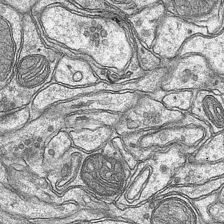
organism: Mouse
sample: CA1 Hippocampus